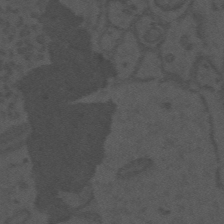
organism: Mouse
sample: Suprachiasmatic nucleus